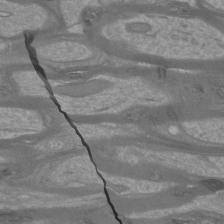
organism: Mouse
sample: Cortical neurons